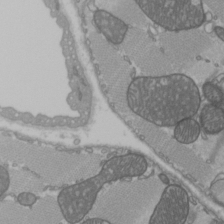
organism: C57BL Mouse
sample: Heart